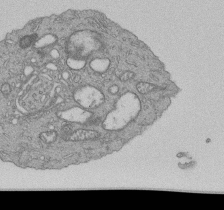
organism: Human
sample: Retinal organoid Rod and Cone cells